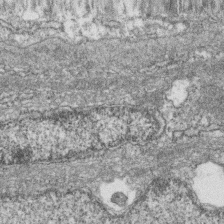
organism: Zebrafish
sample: Cilia; retinal pigment epithelium